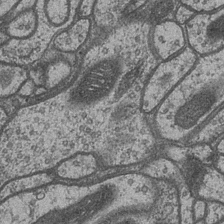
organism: Drosophila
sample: Optic medulla